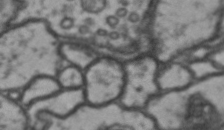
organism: Drosophila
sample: Brain